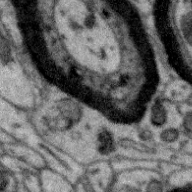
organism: Zebra finch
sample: Brain